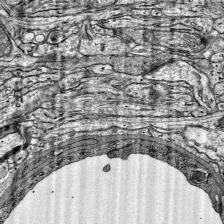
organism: Mouse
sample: Visual Cortex